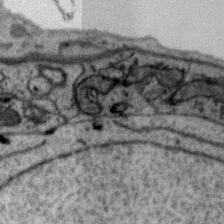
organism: Zebra finch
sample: Brain